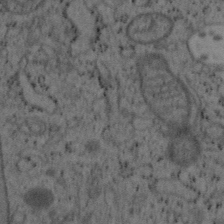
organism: Human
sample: HeLa cells